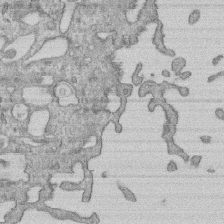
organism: Human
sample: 1205lu cells